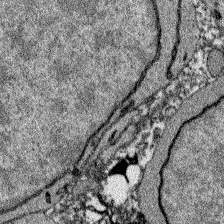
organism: Zebrafish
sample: Larval olfactory bulb